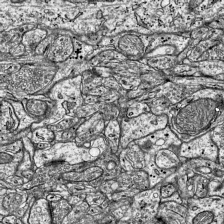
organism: Mouse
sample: Visual Cortex